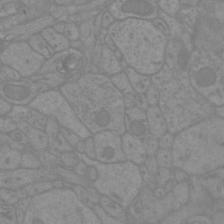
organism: Mouse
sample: Cortical neurons